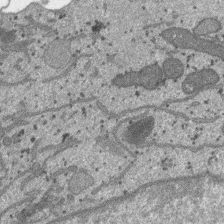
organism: Human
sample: Lung epithelial cells infected with SARS-CoV-2